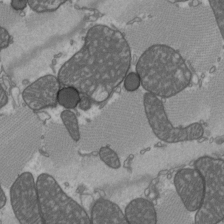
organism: C57BL Mouse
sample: Heart